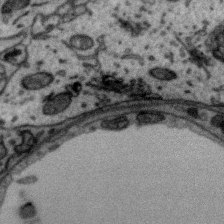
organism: Zebra finch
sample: Brain